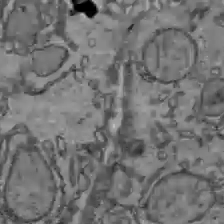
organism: C57BL Mouse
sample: Liver